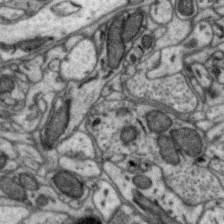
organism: Zebra finch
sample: Brain